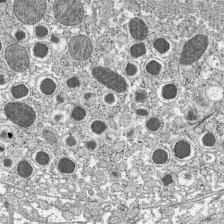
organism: C57BL Mouse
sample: Pancreatic islet